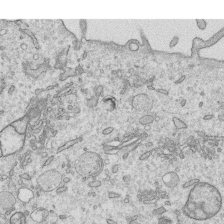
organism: Human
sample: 1205lu cells